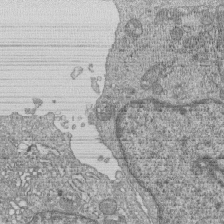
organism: Human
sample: MDA-MB-231 cells